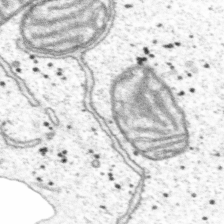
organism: Human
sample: HeLa cells